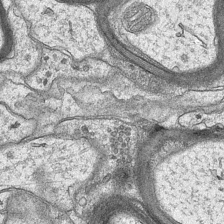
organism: Mouse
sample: CA1 Hippocampus